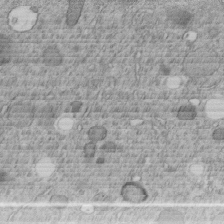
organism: C. elegans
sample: C. elegans embryo early stage